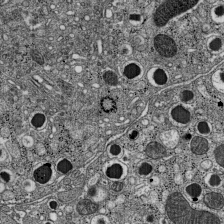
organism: C57BL Mouse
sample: Pancreatic islet